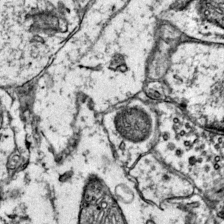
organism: Mouse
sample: Primary visual cortex